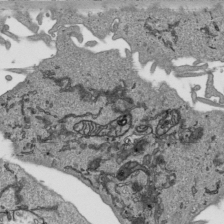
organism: Human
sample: Mitochondria in HCT116 cells